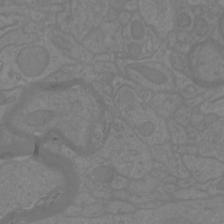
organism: Mouse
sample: Cortical neurons